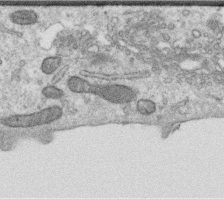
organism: Human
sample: Centriole in RPE cells